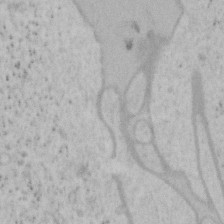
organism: Human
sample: HeLa cells